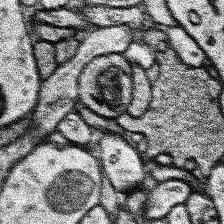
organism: Human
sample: Temporal Lobe